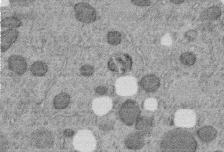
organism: C. elegans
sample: C. elegans embryo early stage